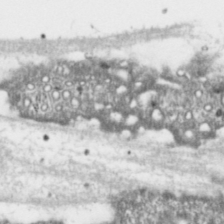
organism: Toxoplasma gondii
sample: Parasites in a vacuole inside a host cell